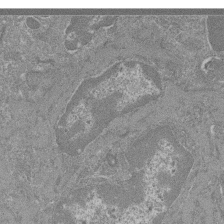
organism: Mouse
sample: Glomerulus